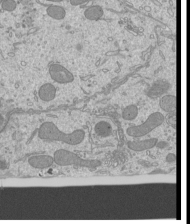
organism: Mouse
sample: Cilia; mouse epididymis